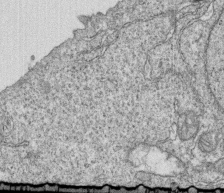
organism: Human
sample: HeLa cell HIV synapse